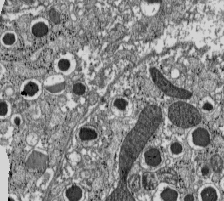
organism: C57BL Mouse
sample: Pancreatic islet